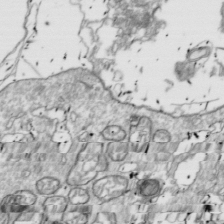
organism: Drosophila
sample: Cell division; meiosis; drosophila spermatocytes